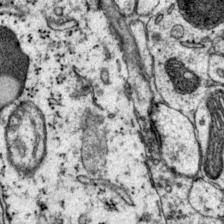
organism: Mouse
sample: Primary visual cortex